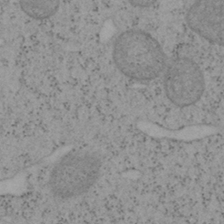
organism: Mouse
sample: OT-I killer T cells with ID8 ovarian cancer cells